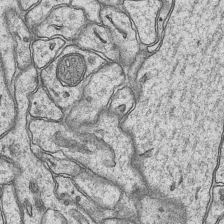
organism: Mouse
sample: CA1 Hippocampus